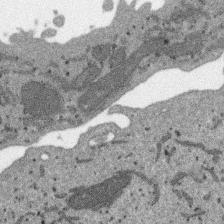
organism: Human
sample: Lung epithelial cells infected with SARS-CoV-2